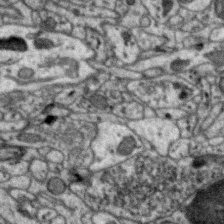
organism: Zebra finch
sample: Brain